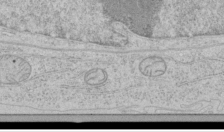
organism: Human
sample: Mitochondria in HCT116 cells